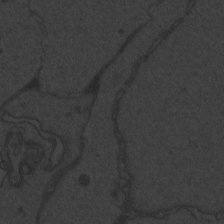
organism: Zebrafish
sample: Macrophage infected with Toxoplasma gondii